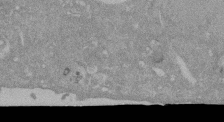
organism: Mouse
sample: ED-1 cell nuclei; centrioles